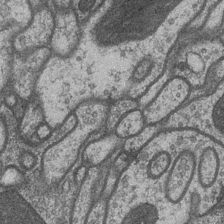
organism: Drosophila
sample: Optic medulla